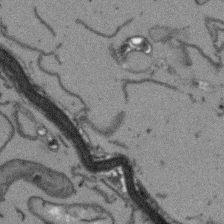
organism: Arabidopsis thaliana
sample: Root tip